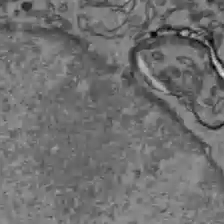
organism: C57BL Mouse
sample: Liver